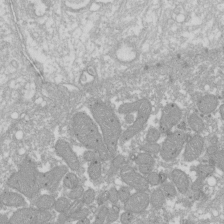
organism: Xenopus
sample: Cilia; centrioles in frog embryo cells